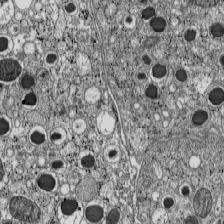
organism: C57BL Mouse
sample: Pancreatic islet